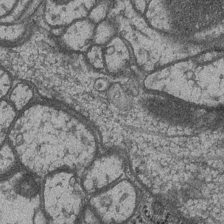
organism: Drosophila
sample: Optic medulla